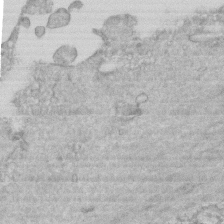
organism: Mouse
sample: Centriole in ependymal cells